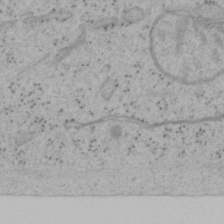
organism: Human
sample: HeLa cells